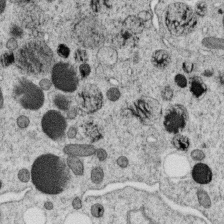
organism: C. elegans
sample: C. elegans oocyte; sperm cells